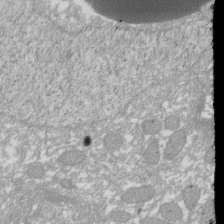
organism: Xenopus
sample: Cilia; centrioles in frog embryo cells